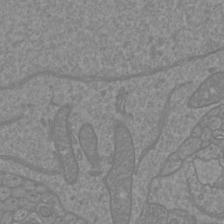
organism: Mouse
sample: Cortical neurons